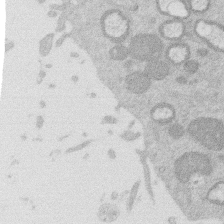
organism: Mouse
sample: Dividing mouse embryo 1 cell stage